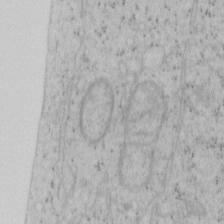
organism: Human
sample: HeLa cells